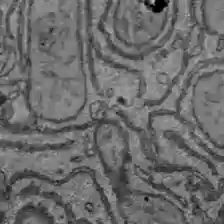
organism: C57BL Mouse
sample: Liver